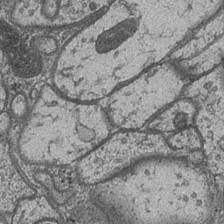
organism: Drosophila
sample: Optic medulla